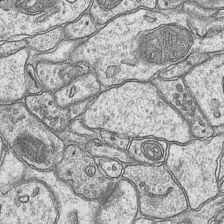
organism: Mouse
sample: CA1 Hippocampus